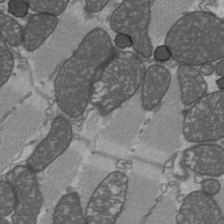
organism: C57BL Mouse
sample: Heart